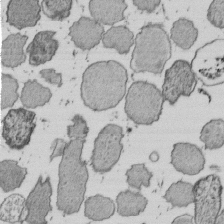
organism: E. coli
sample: Bacterial nucleoid